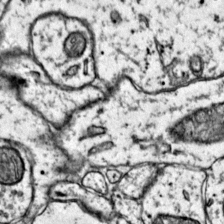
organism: Mouse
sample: Primary visual cortex